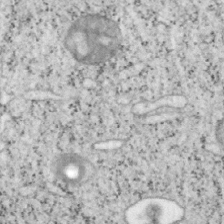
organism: Mouse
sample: OT-I killer T cells with ID8 ovarian cancer cells